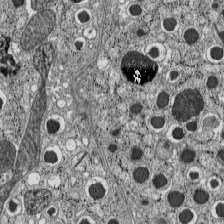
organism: C57BL Mouse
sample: Pancreatic islet